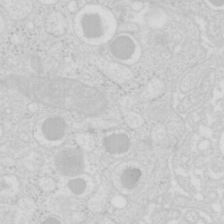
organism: Mouse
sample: Pancreas